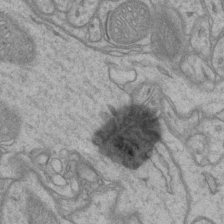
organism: Mouse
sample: CA1 Hippocampus